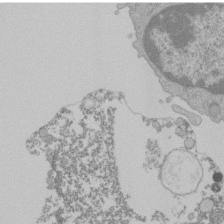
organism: Mouse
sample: Activated Pmel transgenic CD8+ T Cells